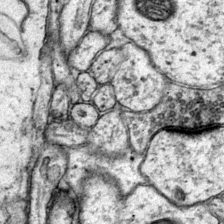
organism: Mouse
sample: Primary visual cortex